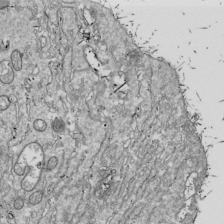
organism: Drosophila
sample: Cell division; meiosis; drosophila spermatocytes